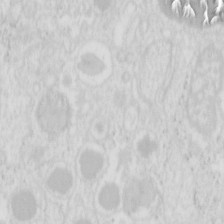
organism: Mouse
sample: Pancreas